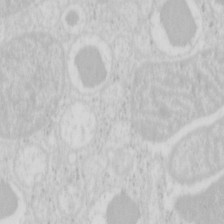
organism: Mouse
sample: Pancreas